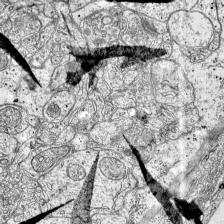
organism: Mouse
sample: Visual Cortex